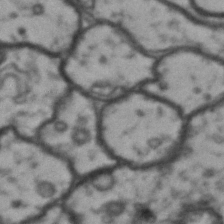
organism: Drosophila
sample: Brain